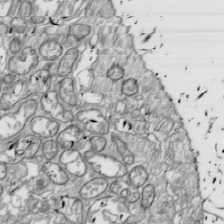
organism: Drosophila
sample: Cell division; meiosis; drosophila spermatocytes